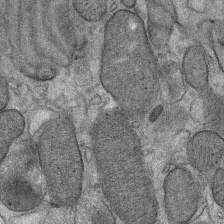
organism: Mouse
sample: Mouse Salivary gland